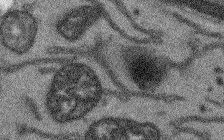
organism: Arabidopsis thaliana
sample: Root tip